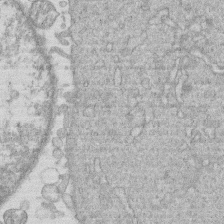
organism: Human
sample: Macrophage cells